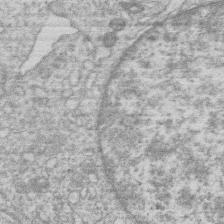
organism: Human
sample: Macrophage cells